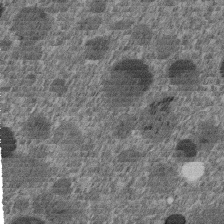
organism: C. elegans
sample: C. elegans embryo early stage